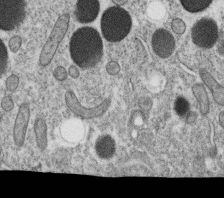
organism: C. elegans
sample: C. elegans oocyte; sperm cells